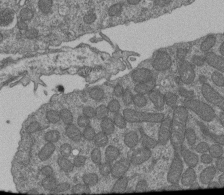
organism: Human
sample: Retinal organoid Rod and Cone cells